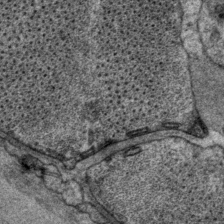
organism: P. pacificus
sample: Pharynx